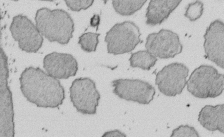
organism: E. coli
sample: Bacterial nucleoid